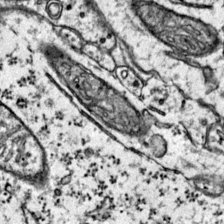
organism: Mouse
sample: Primary visual cortex